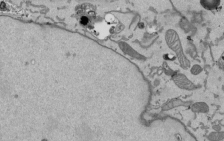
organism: Mouse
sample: ED-1 cell nuclei; centrioles